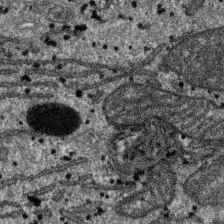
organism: Human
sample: Lung epithelial cells infected with SARS-CoV-2